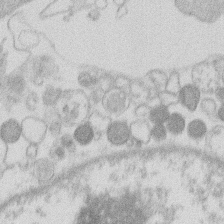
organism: Human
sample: Macrophage cells